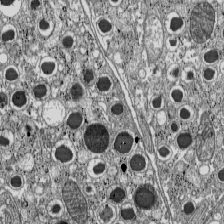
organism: C57BL Mouse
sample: Pancreatic islet